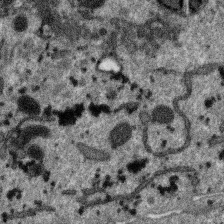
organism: Human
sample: Lung epithelial cells infected with SARS-CoV-2